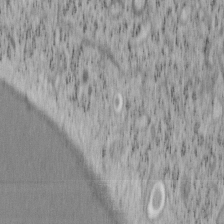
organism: Human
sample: HeLa cells